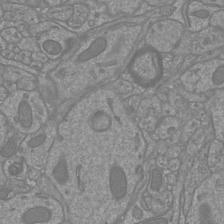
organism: Mouse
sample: Cortical neurons